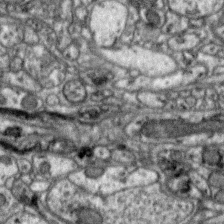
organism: Zebra finch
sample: Brain